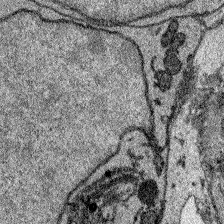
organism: Zebrafish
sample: Larval olfactory bulb